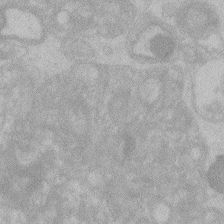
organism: Zebrafish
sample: Macrophage infected with Toxoplasma gondii